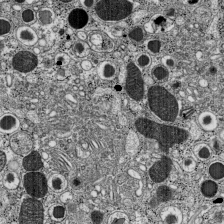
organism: C57BL Mouse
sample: Pancreatic islet